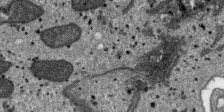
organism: Human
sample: Lung epithelial cells, uninfected (mock) control